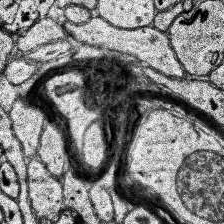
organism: Human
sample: Temporal Lobe